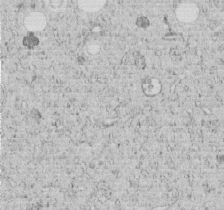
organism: C. elegans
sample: C. elegans embryo early stage